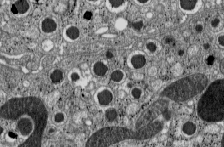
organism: C57BL Mouse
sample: Pancreatic islet